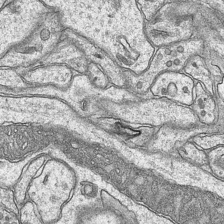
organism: Mouse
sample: CA1 Hippocampus